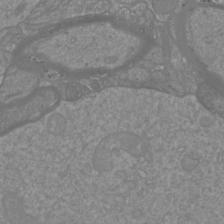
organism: Mouse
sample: Cortical neurons